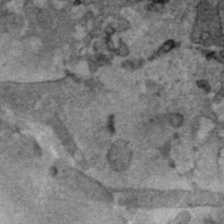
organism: Human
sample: Mitochondria in HCT116 cells